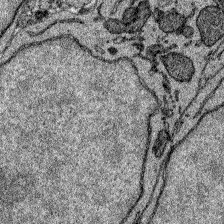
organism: Zebrafish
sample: Larval olfactory bulb